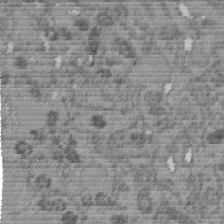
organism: C. elegans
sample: C. elegans embryo early stage